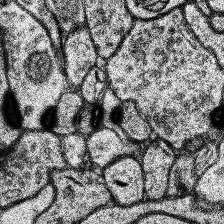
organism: Human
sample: Temporal Lobe